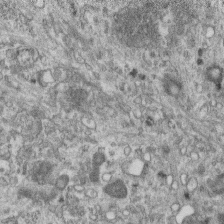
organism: Mouse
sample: Centriole in ependymal cells